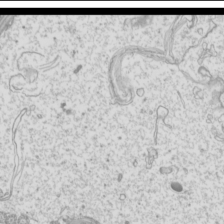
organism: Mouse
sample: Cilia; mouse epididymis